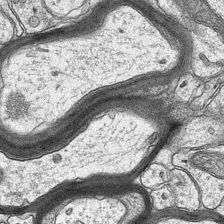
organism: Mouse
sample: CA1 Hippocampus